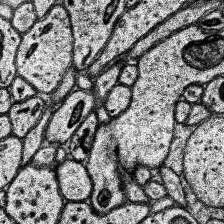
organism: Human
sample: Temporal Lobe